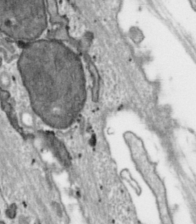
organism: Toxoplasma gondii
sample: Parasites in a vacuole inside a host cell